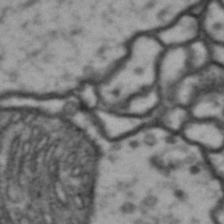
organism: Drosophila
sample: Brain